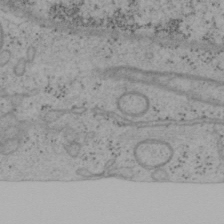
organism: Human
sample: HeLa cells